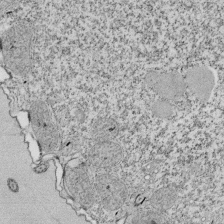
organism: Tetrahymena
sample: Cilia in tetrahymena